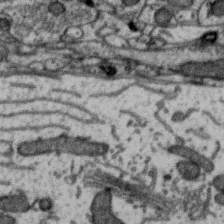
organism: Zebra finch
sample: Brain